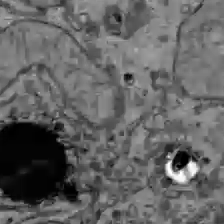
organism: C57BL Mouse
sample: Liver